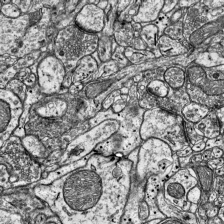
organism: Mouse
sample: Visual Cortex